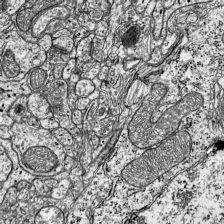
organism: Mouse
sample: Visual Cortex